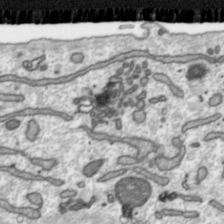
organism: Toxoplasma gondii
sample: Parasites in a vacuole inside a host cell